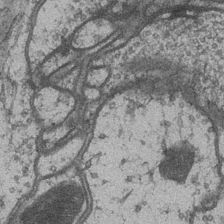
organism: Drosophila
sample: Optic medulla